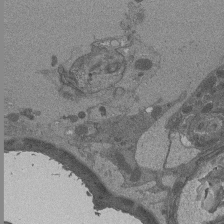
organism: Drosophila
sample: Antenna